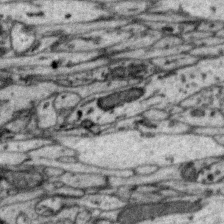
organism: Zebra finch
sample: Brain